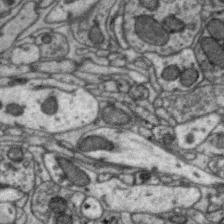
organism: Zebra finch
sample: Brain